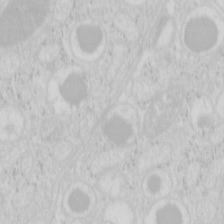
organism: Mouse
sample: Pancreas